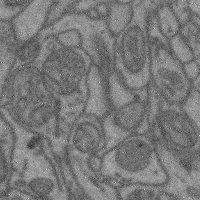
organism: Mouse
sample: Cerebral cortex